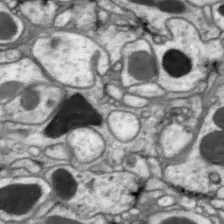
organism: Drosophila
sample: Optic lobe